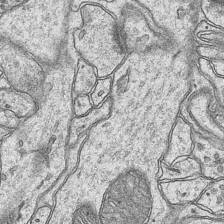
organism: Mouse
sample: CA1 Hippocampus